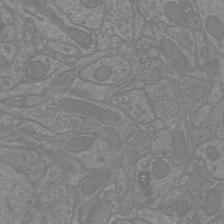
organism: Mouse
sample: Cortical neurons